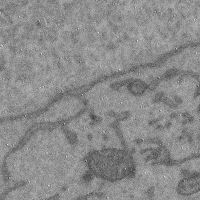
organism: Mouse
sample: Cerebral cortex